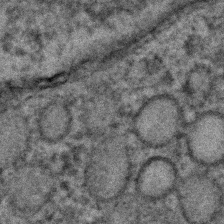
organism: C. elegans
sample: C. elegans embryo